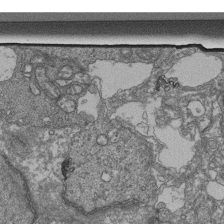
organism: Human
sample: Retinal organoid Rod and Cone cells